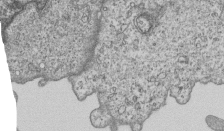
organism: Human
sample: MDA-MB-231 cells